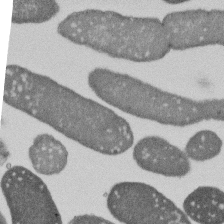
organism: E. coli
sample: Bacterial nucleoid